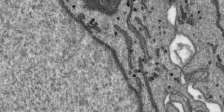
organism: Human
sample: Lung epithelial cells, uninfected (mock) control